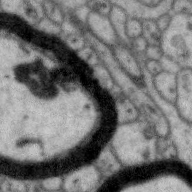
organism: Zebra finch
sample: Brain